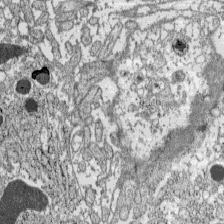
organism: C57BL Mouse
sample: Pancreatic islet